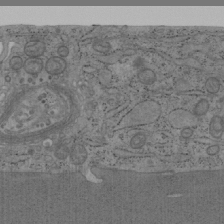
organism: Human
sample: HeLa cells